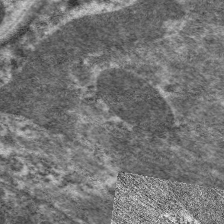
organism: C. elegans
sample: Pharynx